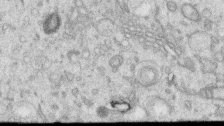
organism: Human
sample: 1205lu cells